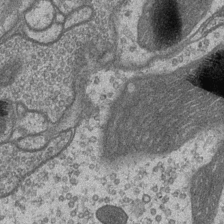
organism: Drosophila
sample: Optic medulla